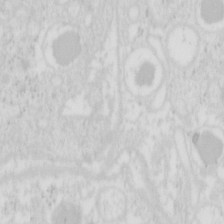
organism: Mouse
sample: Pancreas